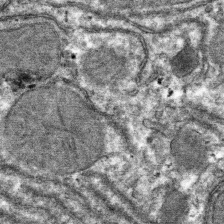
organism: Mouse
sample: Mouse hepatocytes